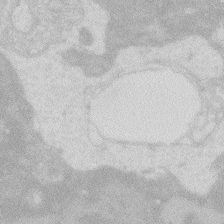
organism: Zebrafish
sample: Macrophage